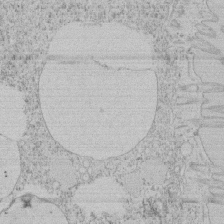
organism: Tetrahymena